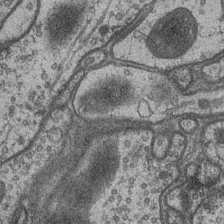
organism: Drosophila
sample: Optic medulla